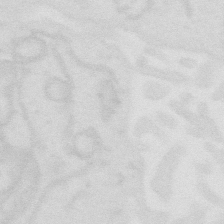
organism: Human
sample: HeLa cells